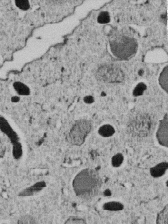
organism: C. elegans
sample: C. elegans embryo early stage